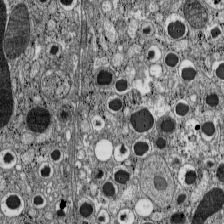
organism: C57BL Mouse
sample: Pancreatic islet